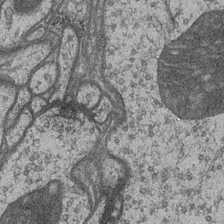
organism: Drosophila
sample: Optic medulla